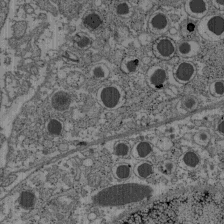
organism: C57BL Mouse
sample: Pancreatic islet